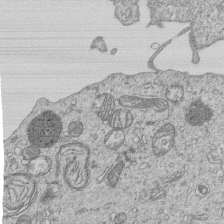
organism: Human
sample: MDA-MB-231 cells